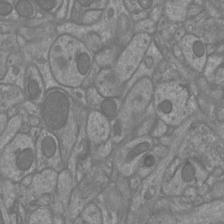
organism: Mouse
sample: Cortical neurons